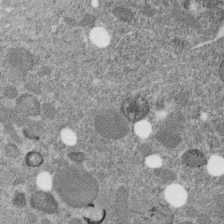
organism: C. elegans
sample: C. elegans embryo early stage